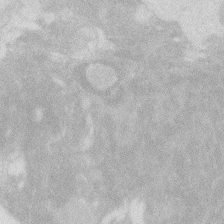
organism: Zebrafish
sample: Macrophage